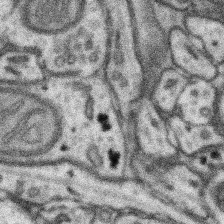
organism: Mouse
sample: Somatosensory cortex neuropil